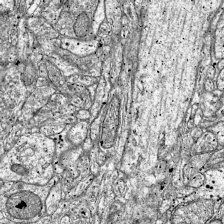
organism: Mouse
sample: Visual Cortex